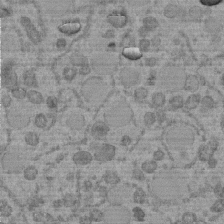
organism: C. elegans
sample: C. elegans embryo early stage